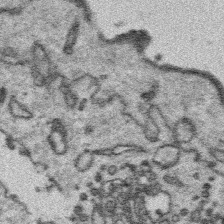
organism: Platynereis dumerilii